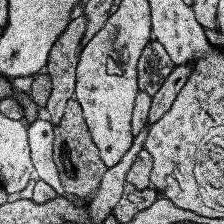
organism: Human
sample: Temporal Lobe